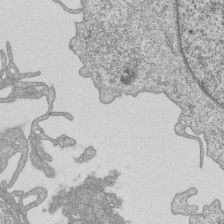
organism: Human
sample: MDA-MB-231 cells